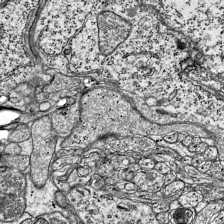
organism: Mouse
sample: Visual Cortex